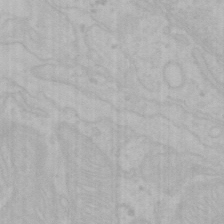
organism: Mouse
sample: Choroid plexus